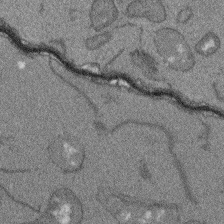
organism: Arabidopsis thaliana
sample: Root tip